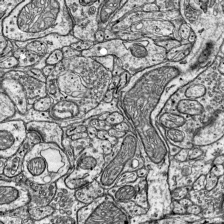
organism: Mouse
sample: Visual Cortex